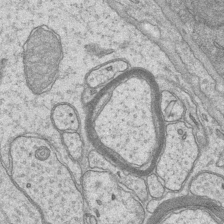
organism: Mouse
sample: CA1 Hippocampus